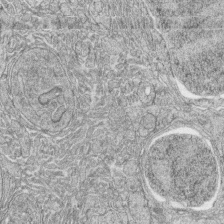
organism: Zebrafish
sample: synaptic ribbons in rod cells and cone cells